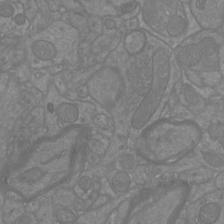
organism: Mouse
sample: Cortical neurons